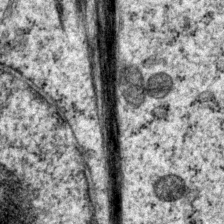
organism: P. pacificus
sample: Pharynx